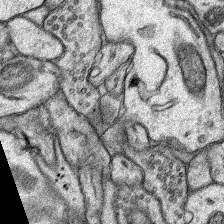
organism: Rat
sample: Hippocampus